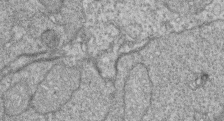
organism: Zebrafish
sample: Cilia; retinal pigment epithelium